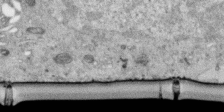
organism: Human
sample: Centriole in RPE cells